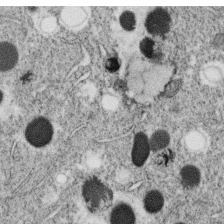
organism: C. elegans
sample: C. elegans oocyte; sperm cells